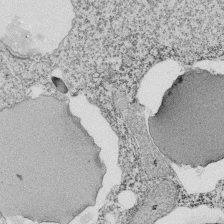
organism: Tetrahymena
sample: Cilia in tetrahymena